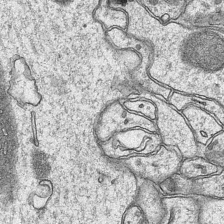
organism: Mouse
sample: CA1 Hippocampus